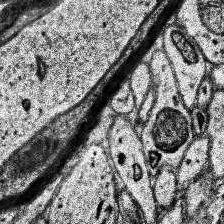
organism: Human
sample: Temporal Lobe